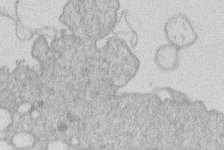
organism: Human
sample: Macrophage cells